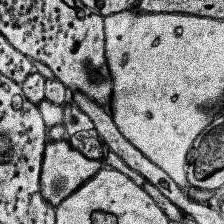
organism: Human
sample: Temporal Lobe